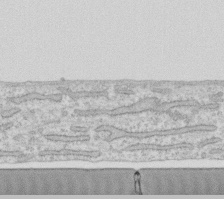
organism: Human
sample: Fibroblast cells